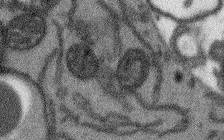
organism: Arabidopsis thaliana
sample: Root tip